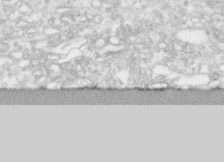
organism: Human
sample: CRL-1474